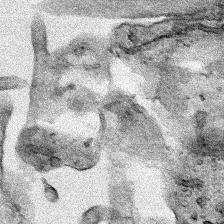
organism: Human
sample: Mitochondria in HCT116 cells